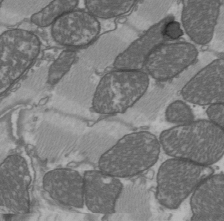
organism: C57BL Mouse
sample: Heart